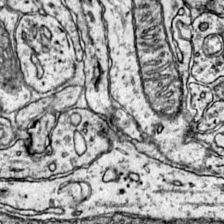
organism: Mouse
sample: Primary visual cortex